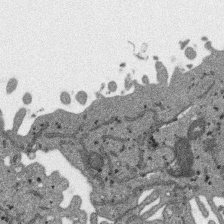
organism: Human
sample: Lung epithelial cells infected with SARS-CoV-2